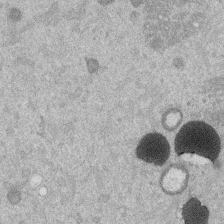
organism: Mouse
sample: Dividing mouse embryo 1 cell stage